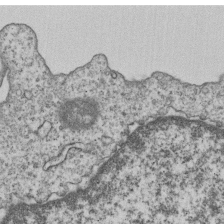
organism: Human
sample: MDA-MB-231 cells